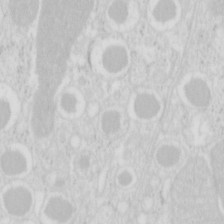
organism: Mouse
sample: Pancreas